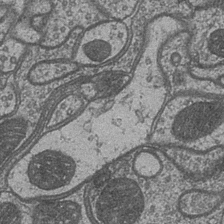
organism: Drosophila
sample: Optic medulla